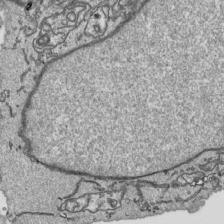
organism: Human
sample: Mitochondria in HCT116 cells